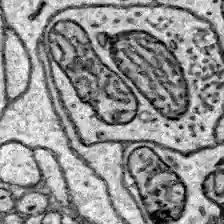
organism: Zebrafish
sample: Brain